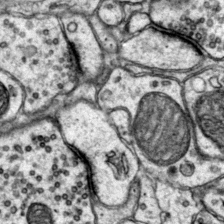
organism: Mouse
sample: Primary visual cortex